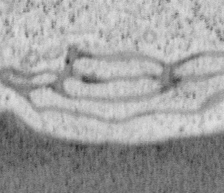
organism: Mouse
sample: OT-I killer T cells with ID8 ovarian cancer cells